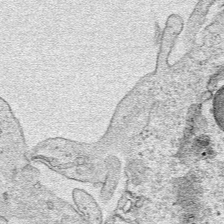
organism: Human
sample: Mitochondria in HCT116 cells